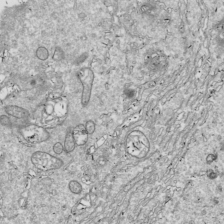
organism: Drosophila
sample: Cell division; meiosis; drosophila spermatocytes